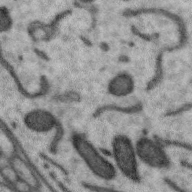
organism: Zebra finch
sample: Brain